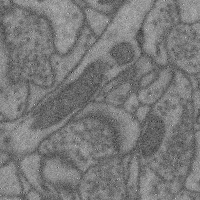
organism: Mouse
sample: Cerebral cortex